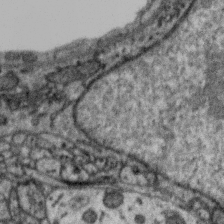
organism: Zebra finch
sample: Brain